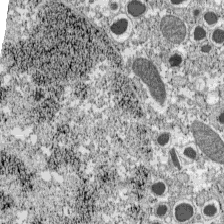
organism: C57BL Mouse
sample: Pancreatic islet